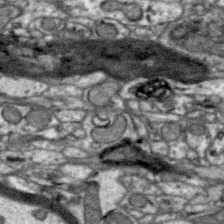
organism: Zebra finch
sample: Brain